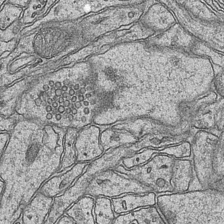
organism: Mouse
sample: CA1 Hippocampus